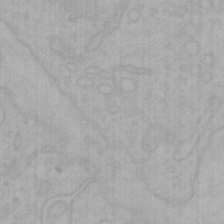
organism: Mouse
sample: Choroid plexus